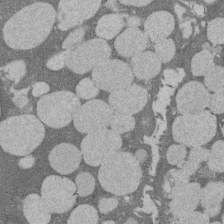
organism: Rat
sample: Salivary granule